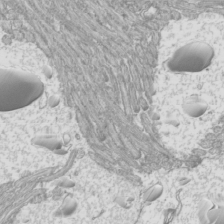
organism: Mouse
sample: Cilia; mouse epididymis